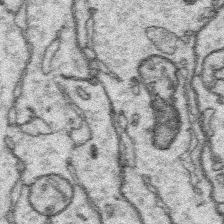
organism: Platynereis dumerilii